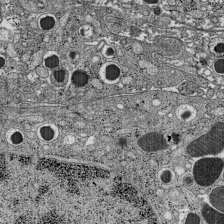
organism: C57BL Mouse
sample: Pancreatic islet